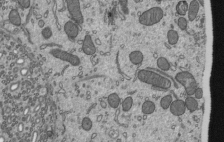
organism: Mouse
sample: Mouse epididymis efferent ductule cilia